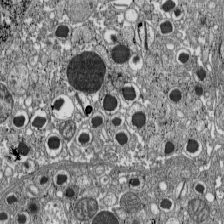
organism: C57BL Mouse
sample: Pancreatic islet